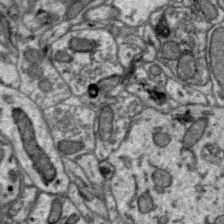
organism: Zebra finch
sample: Brain